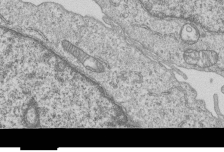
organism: Human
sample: MDA-MB-231 cells